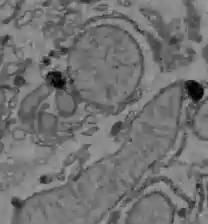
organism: C57BL Mouse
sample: Liver